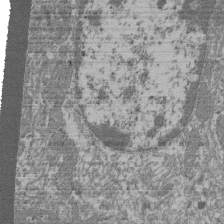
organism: Mouse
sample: Glomerulus